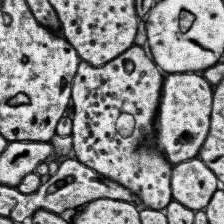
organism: Human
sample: Temporal Lobe